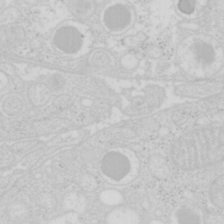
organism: Mouse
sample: Pancreas